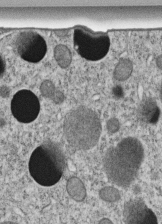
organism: C. elegans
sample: C. elegans embryo early stage